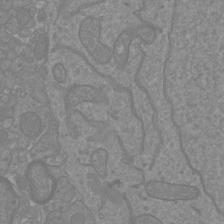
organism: Mouse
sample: Cortical neurons